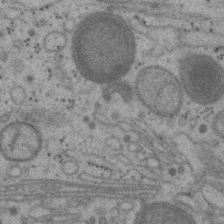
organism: Human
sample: HeLa cells